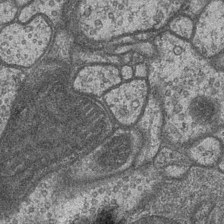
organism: Drosophila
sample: Optic medulla